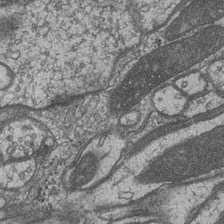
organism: Drosophila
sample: Optic medulla